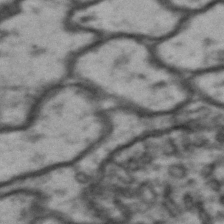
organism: Drosophila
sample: Brain